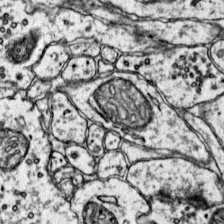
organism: Mouse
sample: Primary visual cortex